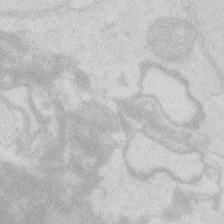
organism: Zebrafish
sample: Macrophage